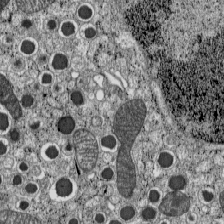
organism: C57BL Mouse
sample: Pancreatic islet